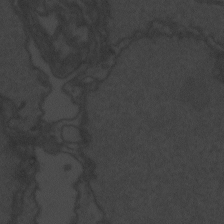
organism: Zebrafish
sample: Macrophage infected with Toxoplasma gondii